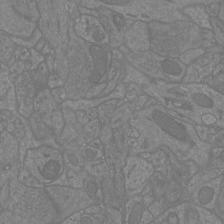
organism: Mouse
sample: Cortical neurons